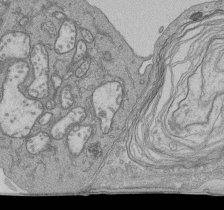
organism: Human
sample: Retinal organoid Rod and Cone cells